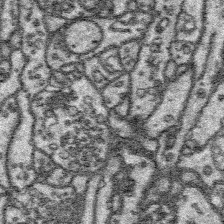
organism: Platynereis dumerilii